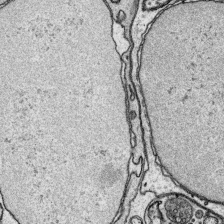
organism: Platynereis dumerilii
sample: Parapodia